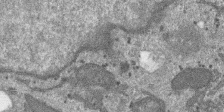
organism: Human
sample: Lung epithelial cells infected with SARS-CoV-2